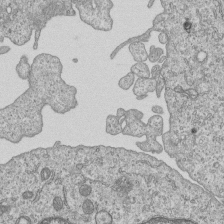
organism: Human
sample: MDA-MB-231 cells